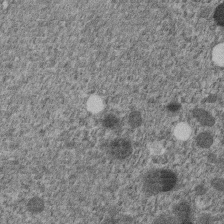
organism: C. elegans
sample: C. elegans embryo early stage